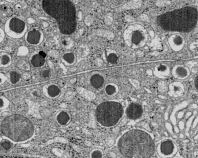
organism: C57BL Mouse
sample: Pancreatic islet